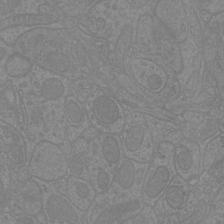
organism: Mouse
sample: Cortical neurons